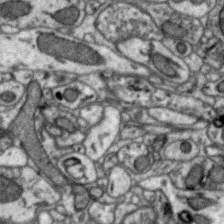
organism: Zebra finch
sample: Brain